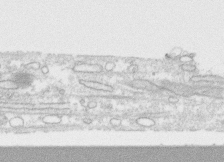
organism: Human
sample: CRL-1474